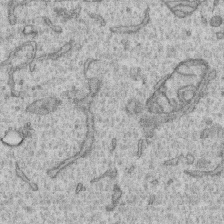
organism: Human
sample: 1205lu cells